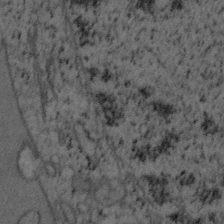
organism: Human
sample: HeLa cells